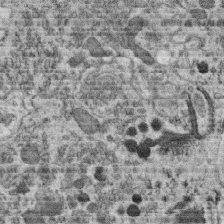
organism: C. elegans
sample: C. elegans oocyte; sperm cells